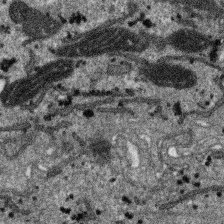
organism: Human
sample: Lung epithelial cells infected with SARS-CoV-2